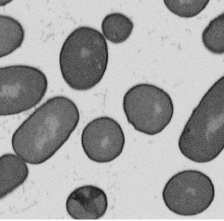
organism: B. subtilis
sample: Bacterial spore